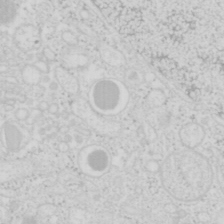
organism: Mouse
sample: Pancreas